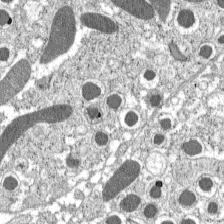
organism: C57BL Mouse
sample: Pancreatic islet